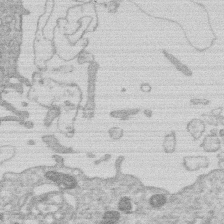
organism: Human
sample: Macrophage cells